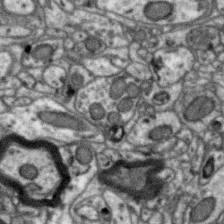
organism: Zebra finch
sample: Brain